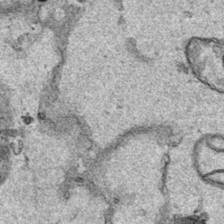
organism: Human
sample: Mitochondria in HCT116 cells